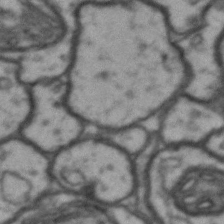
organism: Drosophila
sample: Brain